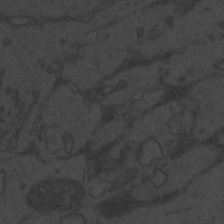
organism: Zebrafish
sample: Macrophage infected with Toxoplasma gondii